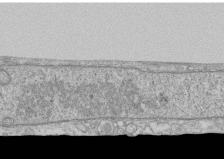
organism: Human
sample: CRL-1474